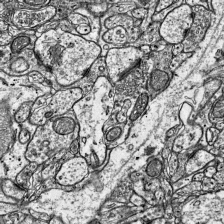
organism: Mouse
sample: Visual Cortex